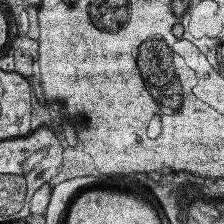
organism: Human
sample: Temporal Lobe